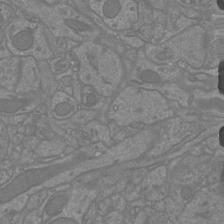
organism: Mouse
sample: Cortical neurons